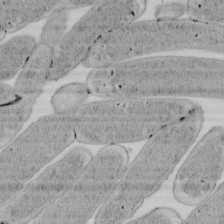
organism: E. coli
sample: Bacterial nucleoid